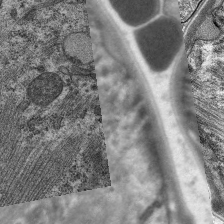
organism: C. elegans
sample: Pharynx